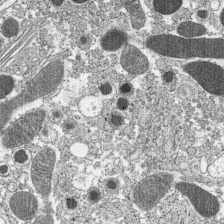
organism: C57BL Mouse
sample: Pancreatic islet